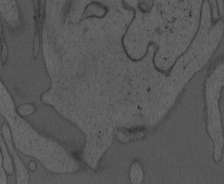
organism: Mouse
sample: OT-I killer T cells with ID8 ovarian cancer cells